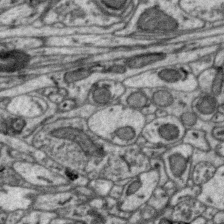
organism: Zebra finch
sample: Brain